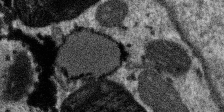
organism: Human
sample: Lung epithelial cells infected with SARS-CoV-2